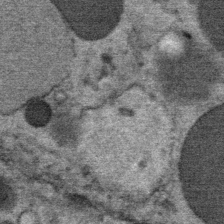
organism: Mouse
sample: Mouse Salivary gland